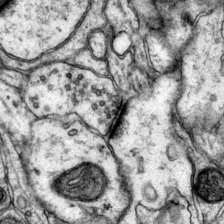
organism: Mouse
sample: Primary visual cortex